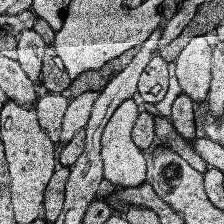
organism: Human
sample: Temporal Lobe